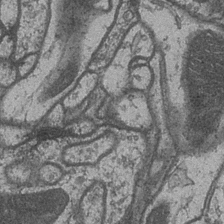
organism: Drosophila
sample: Optic medulla